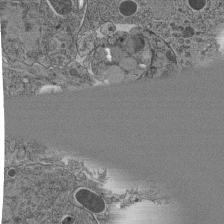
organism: C. elegans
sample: C. elegans pharynx